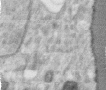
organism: Human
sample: Centriole in RPE cells